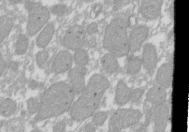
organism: Xenopus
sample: Cilia; centrioles in frog embryo cells